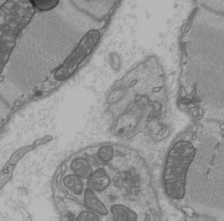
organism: C57BL Mouse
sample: Heart